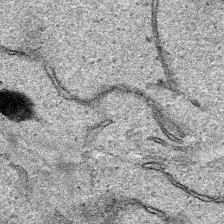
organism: Human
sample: Mitochondria in HCT116 cells